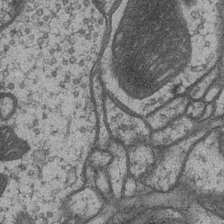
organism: Drosophila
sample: Optic medulla